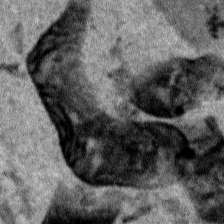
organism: Human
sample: Mitochondria in HCT116 cells